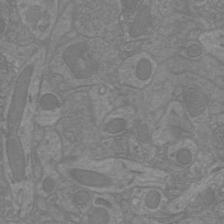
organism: Mouse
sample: Cortical neurons